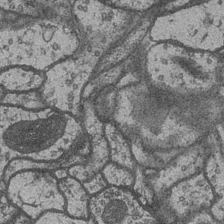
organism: Drosophila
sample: Optic medulla